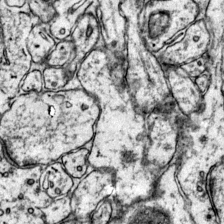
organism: Mouse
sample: Primary visual cortex